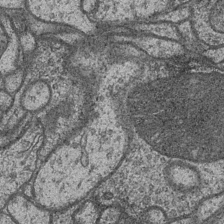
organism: Drosophila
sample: Optic medulla